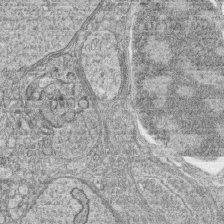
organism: Zebrafish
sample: synaptic ribbons in rod cells and cone cells